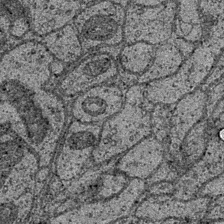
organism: Drosophila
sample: Optic medulla